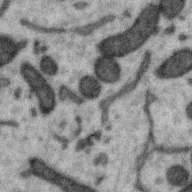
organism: Zebra finch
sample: Brain